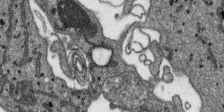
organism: Human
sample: Lung epithelial cells infected with SARS-CoV-2